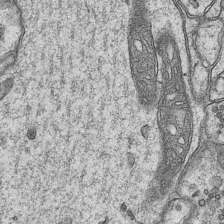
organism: Mouse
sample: CA1 Hippocampus